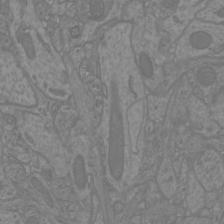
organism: Mouse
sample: Cortical neurons